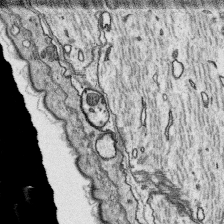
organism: Platynereis dumerilii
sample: Parapodia